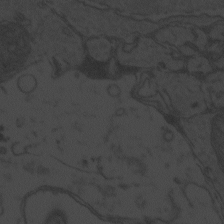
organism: Zebrafish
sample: Macrophage infected with Toxoplasma gondii